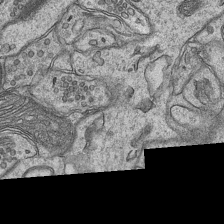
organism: Mouse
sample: CA1 Hippocampus